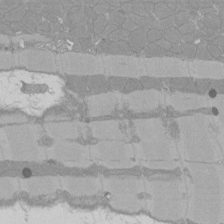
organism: Rat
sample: Left ventricle